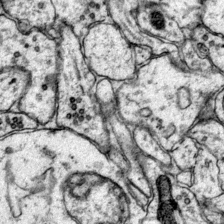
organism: Mouse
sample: Primary visual cortex